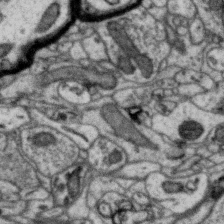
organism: Zebra finch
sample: Brain